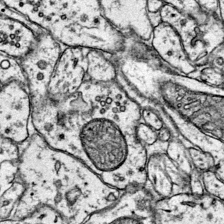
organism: Mouse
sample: Primary visual cortex